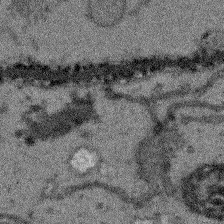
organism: Arabidopsis thaliana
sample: Root tip